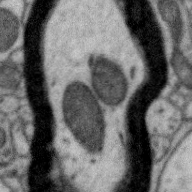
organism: Zebra finch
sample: Brain